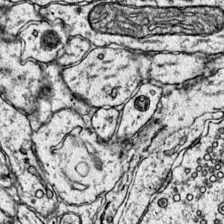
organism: Mouse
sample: Primary visual cortex